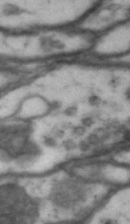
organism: Drosophila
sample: Brain